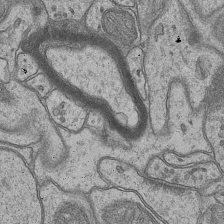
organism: Mouse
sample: CA1 Hippocampus